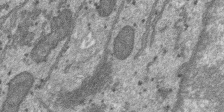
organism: Human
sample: Lung epithelial cells infected with SARS-CoV-2